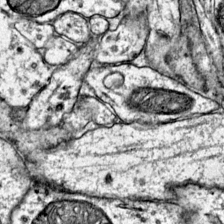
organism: Mouse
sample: Primary visual cortex